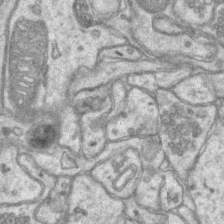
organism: Mouse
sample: CA1 Hippocampus